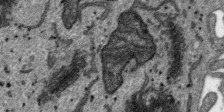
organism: Human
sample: Lung epithelial cells, uninfected (mock) control